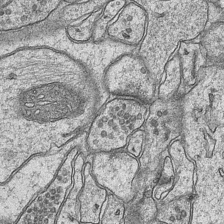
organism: Mouse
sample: CA1 Hippocampus